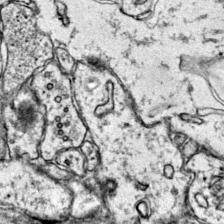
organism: Mouse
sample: Primary visual cortex